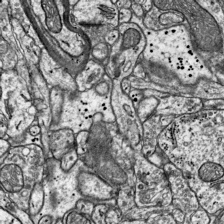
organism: Mouse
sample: Visual Cortex